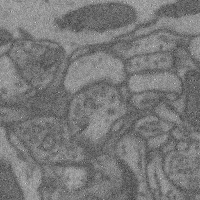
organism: Mouse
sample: Cerebral cortex